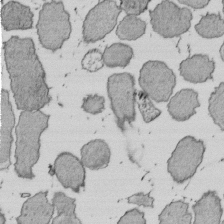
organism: E. coli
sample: Bacterial nucleoid